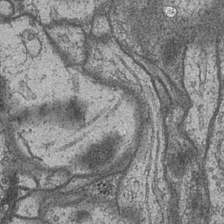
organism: Drosophila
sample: Optic medulla